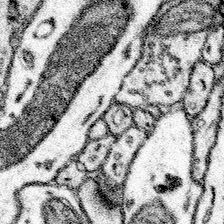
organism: Mouse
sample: Somatosensory cortex neuropil